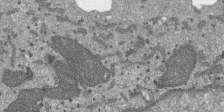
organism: Human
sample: Lung epithelial cells infected with SARS-CoV-2